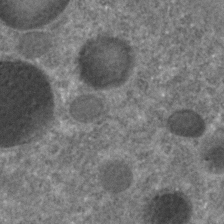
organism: C. elegans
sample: C. elegans embryo